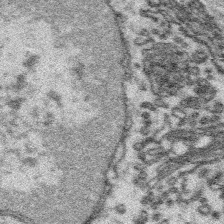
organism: Platynereis dumerilii